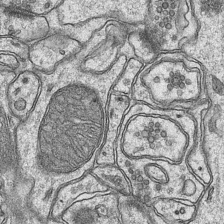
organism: Mouse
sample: CA1 Hippocampus